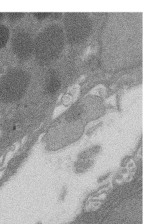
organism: Rat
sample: Salivary granule